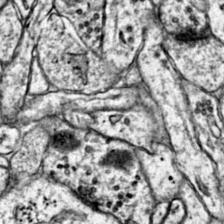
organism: Mouse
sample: Primary visual cortex